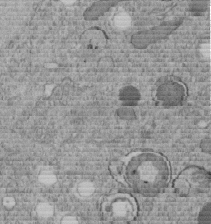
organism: C. elegans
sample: C. elegans embryo early stage